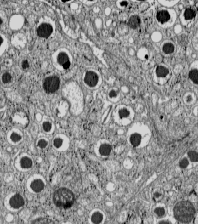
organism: C57BL Mouse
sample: Pancreatic islet